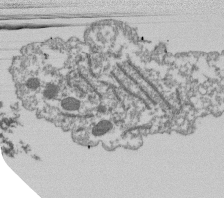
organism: Dictyostelium discoideum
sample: Dictyostelium multivesicular bodies